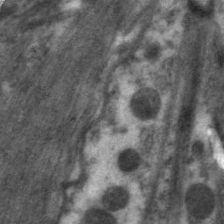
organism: C. elegans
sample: Pharynx